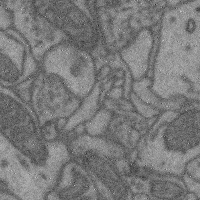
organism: Mouse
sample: Cerebral cortex